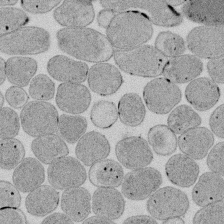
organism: E. coli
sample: Bacterial nucleoid